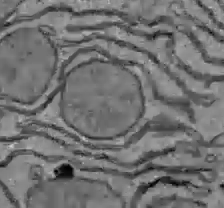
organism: C57BL Mouse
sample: Liver